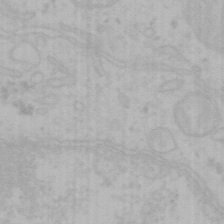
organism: Mouse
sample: Choroid plexus